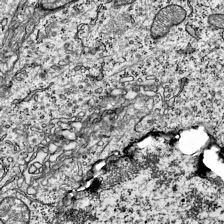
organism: Mouse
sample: Visual Cortex